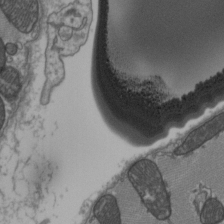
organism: C57BL Mouse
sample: Heart